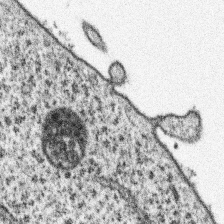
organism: Human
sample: HeLa cells